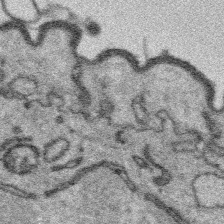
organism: Platynereis dumerilii